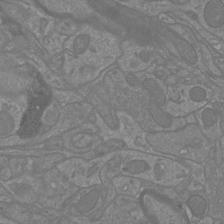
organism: Mouse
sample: Cortical neurons